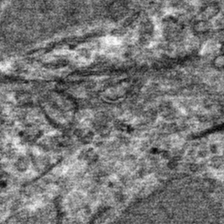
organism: Mouse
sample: Mouse hepatocytes